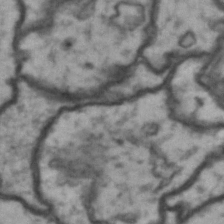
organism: Drosophila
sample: Brain